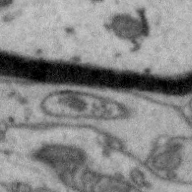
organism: Zebra finch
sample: Brain